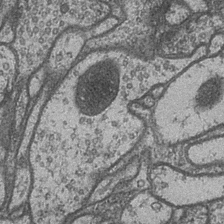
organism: Drosophila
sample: Optic medulla